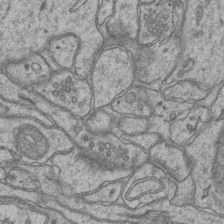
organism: Mouse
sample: CA1 Hippocampus